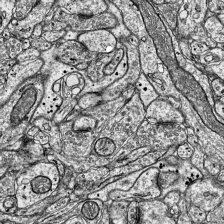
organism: Mouse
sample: Visual Cortex